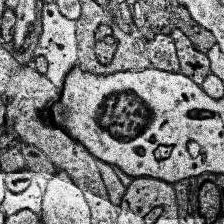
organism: Human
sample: Temporal Lobe